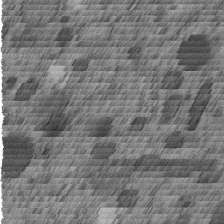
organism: C. elegans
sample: C. elegans embryo early stage